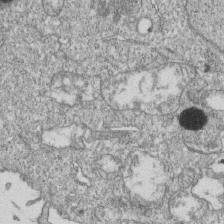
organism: Human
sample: HeLa cell HIV synapse